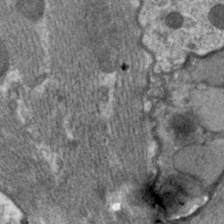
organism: C. elegans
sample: Pharynx